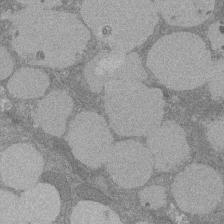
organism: Rat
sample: Salivary granule